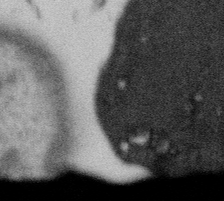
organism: Gemmata obscuriglobus